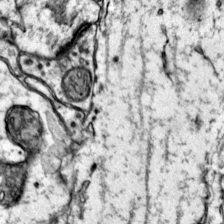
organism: Mouse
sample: Primary visual cortex